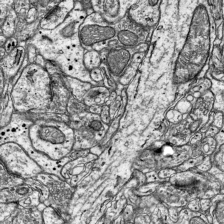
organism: Mouse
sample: Visual Cortex